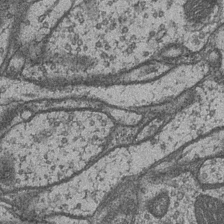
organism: Drosophila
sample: Optic medulla